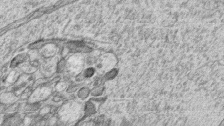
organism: Zebrafish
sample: synaptic ribbons in rod cells and cone cells